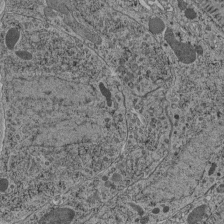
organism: C. elegans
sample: C. elegans pharynx